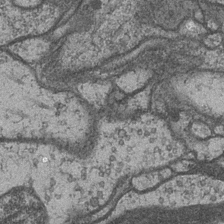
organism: Drosophila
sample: Optic medulla